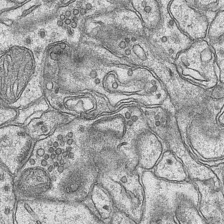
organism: Mouse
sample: CA1 Hippocampus